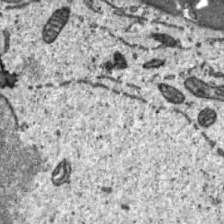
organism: Human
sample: HeLa cells